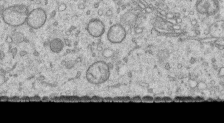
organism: Human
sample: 1205lu cells